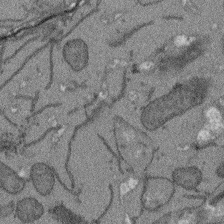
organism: Arabidopsis thaliana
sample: Root tip